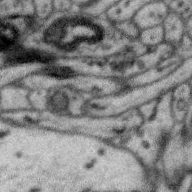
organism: Zebra finch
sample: Brain